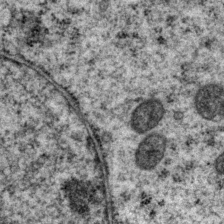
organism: P. pacificus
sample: Pharynx